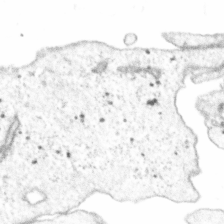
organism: Human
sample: HeLa cells